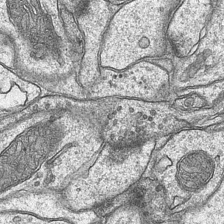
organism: Mouse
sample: CA1 Hippocampus